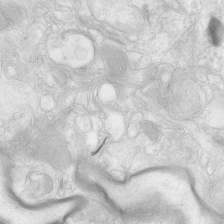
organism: Human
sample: Neocortex